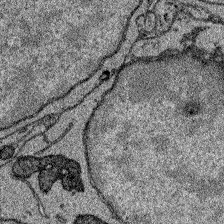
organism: Zebrafish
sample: Larval olfactory bulb